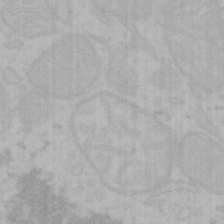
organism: Mouse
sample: Choroid plexus